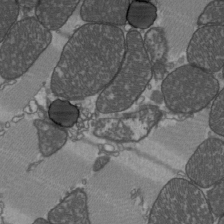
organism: C57BL Mouse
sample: Heart